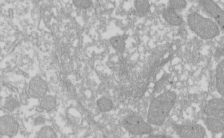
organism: Xenopus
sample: Cilia; centrioles in frog embryo cells